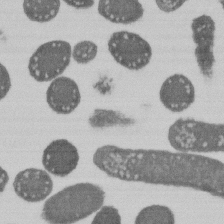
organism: E. coli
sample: Bacterial nucleoid